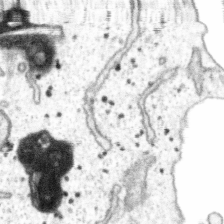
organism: Human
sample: HeLa cells